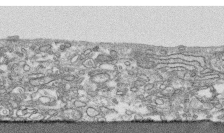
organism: Human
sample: CRL-1474